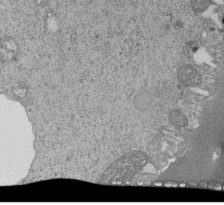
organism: Tetrahymena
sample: Cilia in tetrahymena